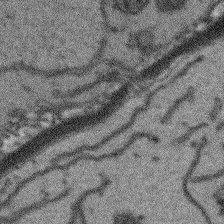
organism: Arabidopsis thaliana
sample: Root tip